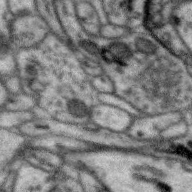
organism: Zebra finch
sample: Brain